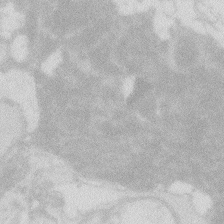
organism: Zebrafish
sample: Macrophage